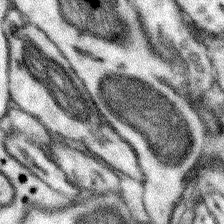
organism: Mouse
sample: Somatosensory cortex neuropil